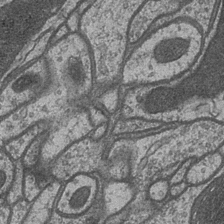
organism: Drosophila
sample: Optic medulla